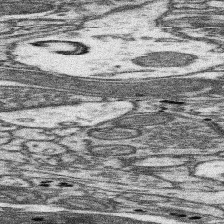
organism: Mouse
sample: Somatosensory cortex neuropil